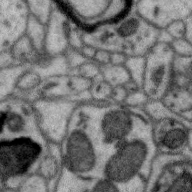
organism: Zebra finch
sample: Brain